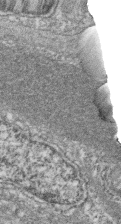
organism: Zebrafish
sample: Cilia; retinal pigment epithelium